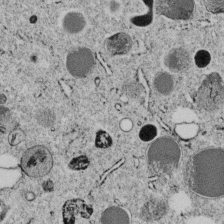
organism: C. elegans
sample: C. elegans embryo early stage